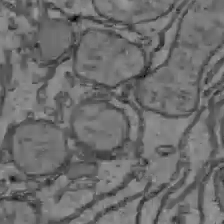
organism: C57BL Mouse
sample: Liver